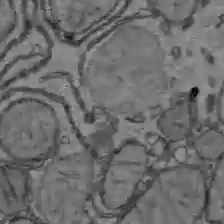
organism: C57BL Mouse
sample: Liver